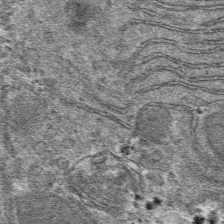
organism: Mouse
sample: Mouse hepatocytes